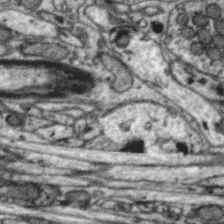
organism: Zebra finch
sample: Brain